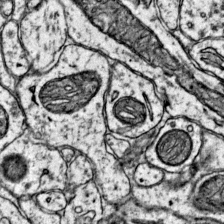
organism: Mouse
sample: Primary visual cortex